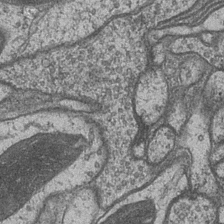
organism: Drosophila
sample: Optic medulla